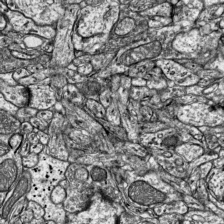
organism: Mouse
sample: Visual Cortex